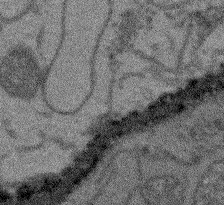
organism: Arabidopsis thaliana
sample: Root tip